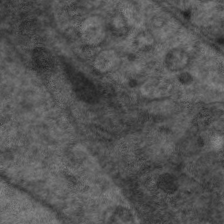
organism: C. elegans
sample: Pharynx